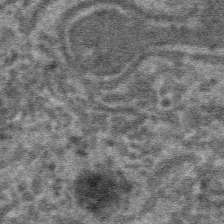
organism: Mouse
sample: Mouse hepatocytes